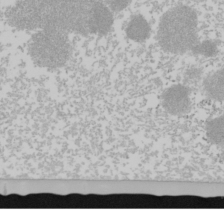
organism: Mouse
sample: Cancer cell death in ED-1 cells